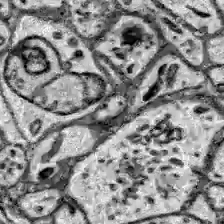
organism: Zebrafish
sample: Brain